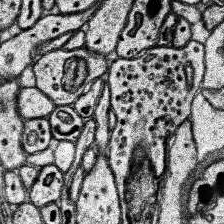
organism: Human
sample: Temporal Lobe